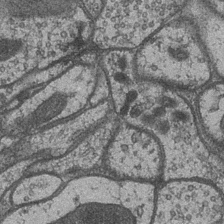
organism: Drosophila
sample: Optic medulla